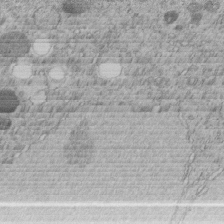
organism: C. elegans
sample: C. elegans embryo early stage